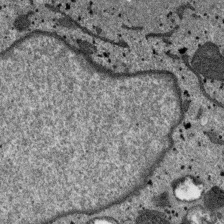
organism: Human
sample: Lung epithelial cells, uninfected (mock) control